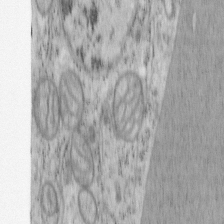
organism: Human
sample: HeLa cells